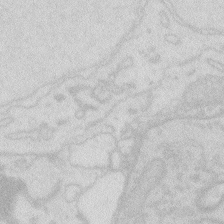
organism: Zebrafish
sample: Macrophage